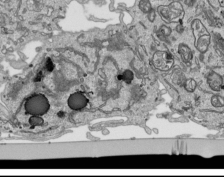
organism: Human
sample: Mitochondria in HCT116 cells